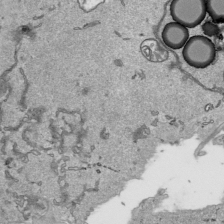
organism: Human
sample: Mitochondria in HCT116 cells